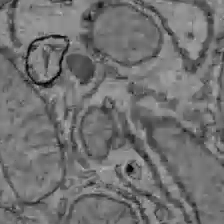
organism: C57BL Mouse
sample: Liver